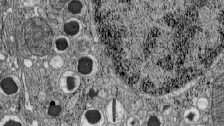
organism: C57BL Mouse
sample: Pancreatic islet